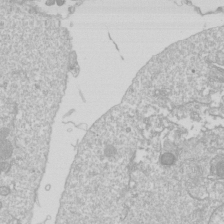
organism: Drosophila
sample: Cell division; meiosis; drosophila spermatocytes